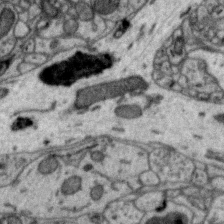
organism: Zebra finch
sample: Brain